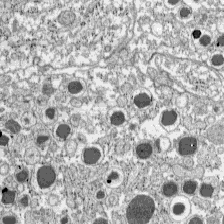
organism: C57BL Mouse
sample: Pancreatic islet